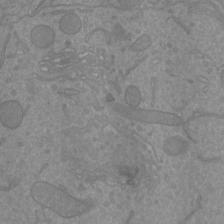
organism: Mouse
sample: Cortical neurons